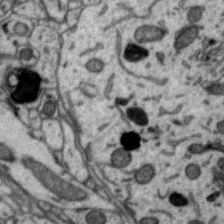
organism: Zebra finch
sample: Brain